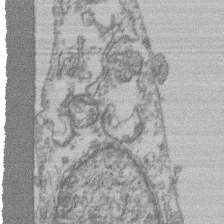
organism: Mouse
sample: T cell stromal cell synapse